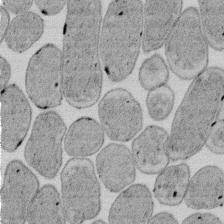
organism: E. coli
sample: Bacterial nucleoid